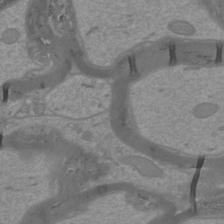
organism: Mouse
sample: Cortical neurons